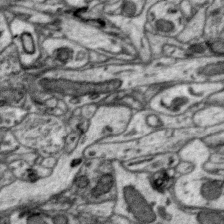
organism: Zebra finch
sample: Brain